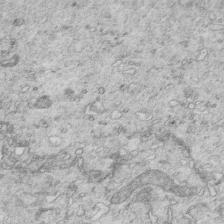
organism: Mouse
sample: Multiciliated cells